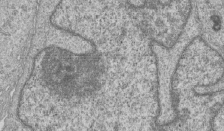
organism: Human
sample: MDA-MB-231 cells